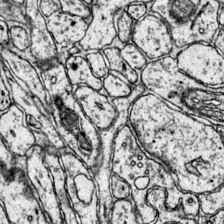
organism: Mouse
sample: Primary visual cortex